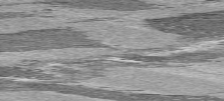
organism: C57BL Mouse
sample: Heart